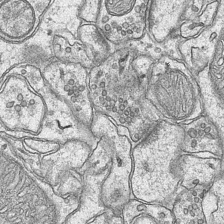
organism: Mouse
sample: CA1 Hippocampus